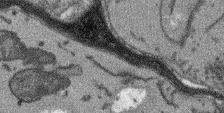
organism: Arabidopsis thaliana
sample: Root tip